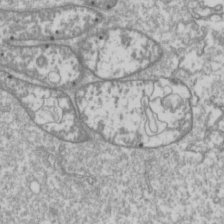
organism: Drosophila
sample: Cell division; meiosis; drosophila spermatocytes